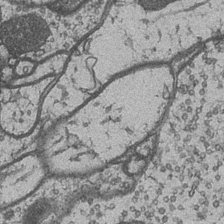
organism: Drosophila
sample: Optic medulla